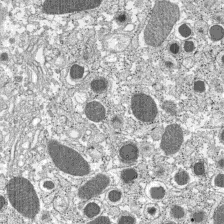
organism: C57BL Mouse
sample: Pancreatic islet